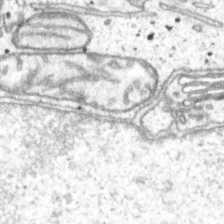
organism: Human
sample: HeLa cells